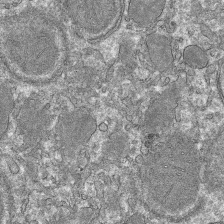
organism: Mouse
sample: Mouse hepatocytes